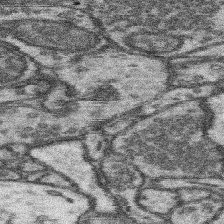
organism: Mouse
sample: Somatosensory cortex neuropil